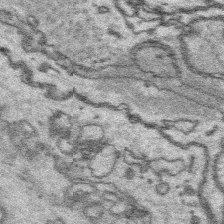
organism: Platynereis dumerilii